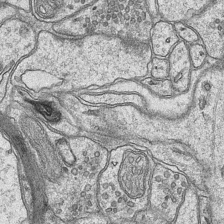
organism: Mouse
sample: CA1 Hippocampus